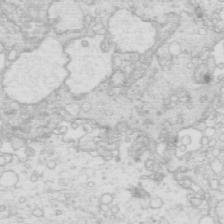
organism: Mouse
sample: Multiciliated cells